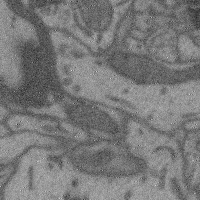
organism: Mouse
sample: Cerebral cortex